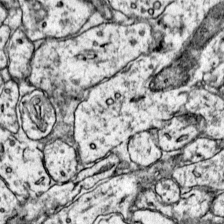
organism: Mouse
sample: Primary visual cortex